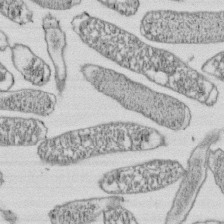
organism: E. coli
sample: Bacterial nucleoid